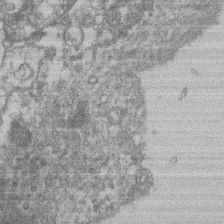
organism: Mouse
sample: T cell stromal cell synapse